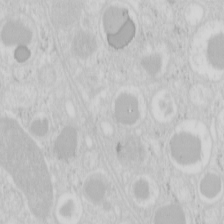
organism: Mouse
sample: Pancreas